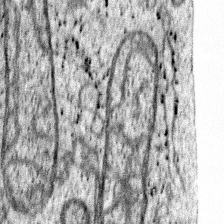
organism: Human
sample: HeLa cells